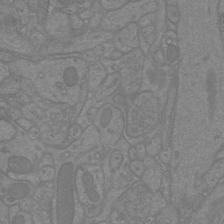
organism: Mouse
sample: Cortical neurons